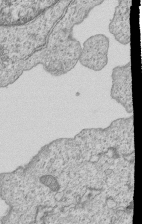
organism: Human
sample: MDA-MB-231 cells